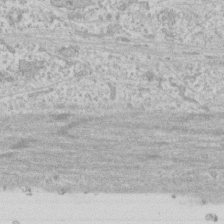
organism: Human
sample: CRL-1474